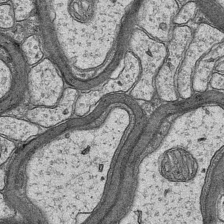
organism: Mouse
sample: CA1 Hippocampus